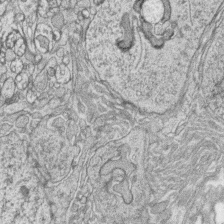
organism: Zebrafish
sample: synaptic ribbons in rod cells and cone cells